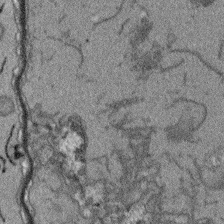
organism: Arabidopsis thaliana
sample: Root tip